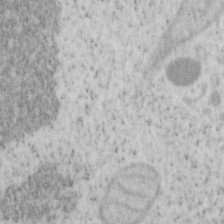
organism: Human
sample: HeLa cells